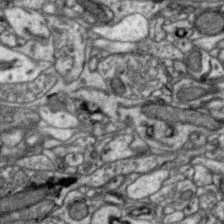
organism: Zebra finch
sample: Brain